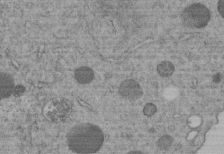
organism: C. elegans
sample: C. elegans embryo early stage